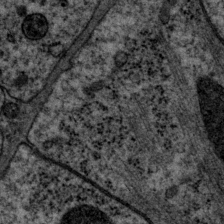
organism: P. pacificus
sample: Pharynx